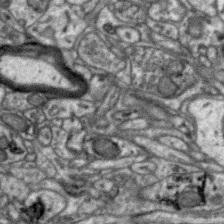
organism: Zebra finch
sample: Brain